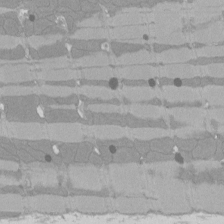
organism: Rat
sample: Left ventricle